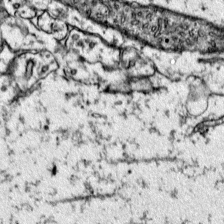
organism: Mouse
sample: Primary visual cortex